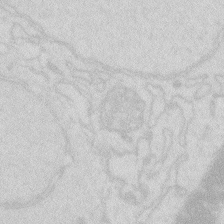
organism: Zebrafish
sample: Macrophage